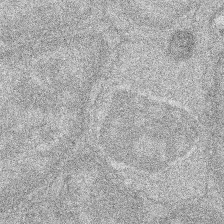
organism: Zebrafish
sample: Cilia; retinal pigment epithelium